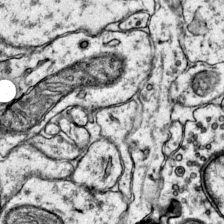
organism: Mouse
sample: Primary visual cortex